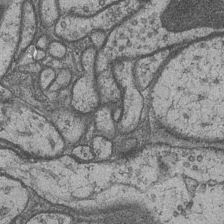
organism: Drosophila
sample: Optic medulla